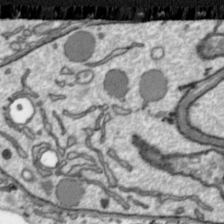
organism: Toxoplasma gondii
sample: Parasites in a vacuole inside a host cell